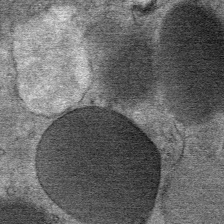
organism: Mouse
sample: Mouse Salivary gland